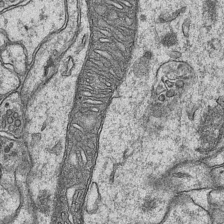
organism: Mouse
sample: CA1 Hippocampus